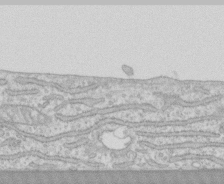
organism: Human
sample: CRL-1474